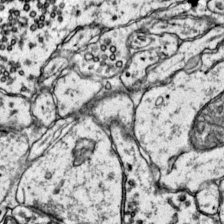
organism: Mouse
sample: Primary visual cortex